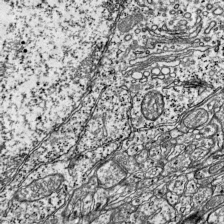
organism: Mouse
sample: Visual Cortex